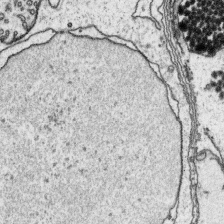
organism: Platynereis dumerilii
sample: Parapodia